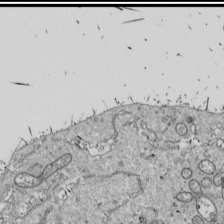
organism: Drosophila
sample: Cell division; meiosis; drosophila spermatocytes